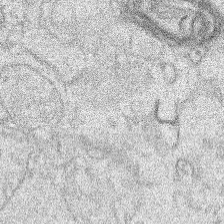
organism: Human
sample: Mitochondria in HCT116 cells